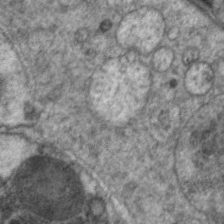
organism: C. elegans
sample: Pharynx